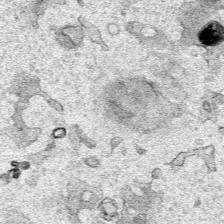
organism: Human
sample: Mitochondria in HCT116 cells